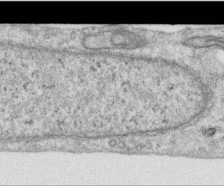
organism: Human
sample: Centriole in RPE cells